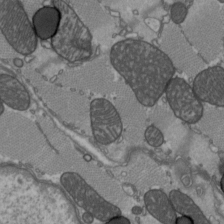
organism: C57BL Mouse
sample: Heart